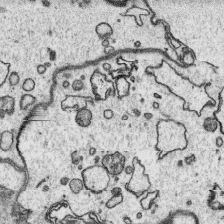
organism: Platynereis dumerilii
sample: Parapodia